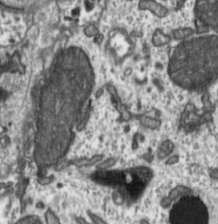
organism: Toxoplasma gondii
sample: Parasites in a vacuole inside a host cell